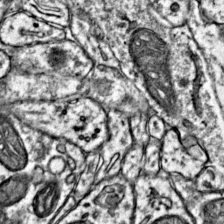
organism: Mouse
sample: Primary visual cortex